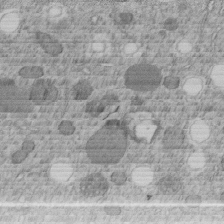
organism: C. elegans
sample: C. elegans embryo early stage